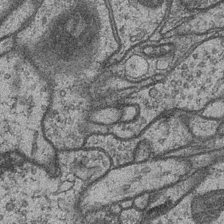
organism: Drosophila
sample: Optic medulla